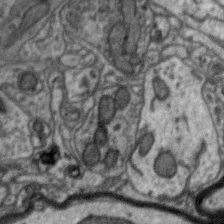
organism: Zebra finch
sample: Brain